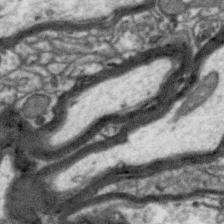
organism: Zebra finch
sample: Brain